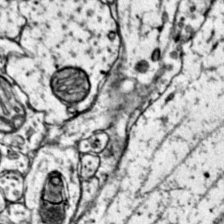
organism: Mouse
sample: Primary visual cortex